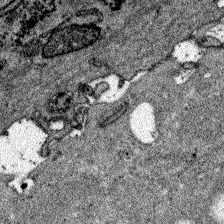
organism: Zebrafish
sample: Larval olfactory bulb